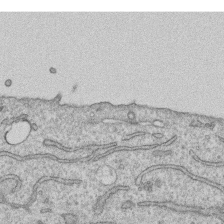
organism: Human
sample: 1205lu cells